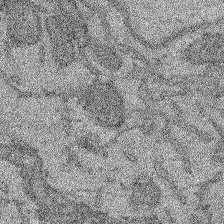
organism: Human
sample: HeLa cells